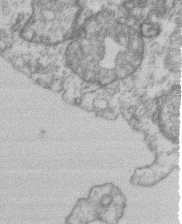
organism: Mouse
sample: T cell stromal cell synapse